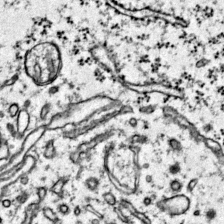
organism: Mouse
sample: Primary visual cortex